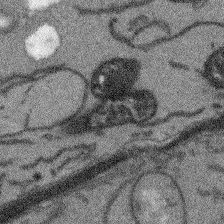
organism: Arabidopsis thaliana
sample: Root tip